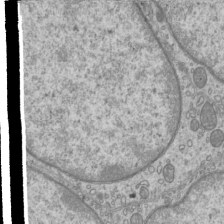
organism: Mouse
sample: Cilia; mouse epididymis